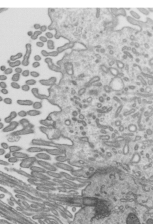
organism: Mouse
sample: Mouse epididymis efferent ductule cilia